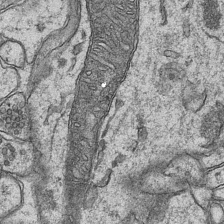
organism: Mouse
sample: CA1 Hippocampus